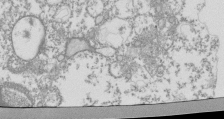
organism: Mouse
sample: Activated Pmel transgenic CD8+ T Cells